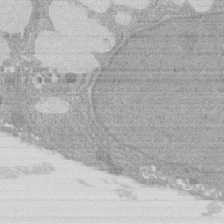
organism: Rat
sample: Salivary granule